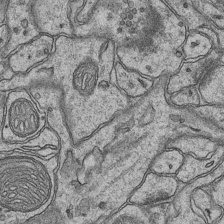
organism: Mouse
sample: CA1 Hippocampus